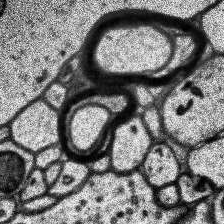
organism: Human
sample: Temporal Lobe